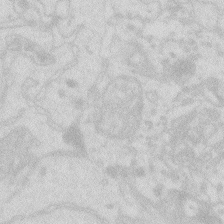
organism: Zebrafish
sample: Macrophage